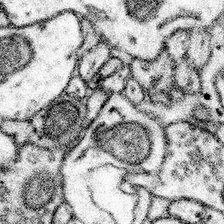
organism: Mouse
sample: Somatosensory cortex neuropil